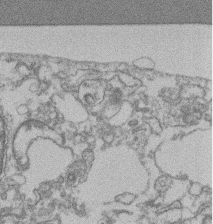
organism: Mouse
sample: T cell stromal cell synapse